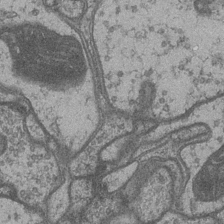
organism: Drosophila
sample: Optic medulla